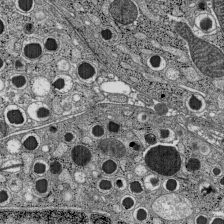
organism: C57BL Mouse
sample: Pancreatic islet